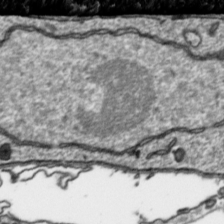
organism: Toxoplasma gondii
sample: Parasites in a vacuole inside a host cell